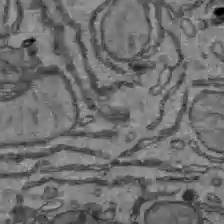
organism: C57BL Mouse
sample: Liver